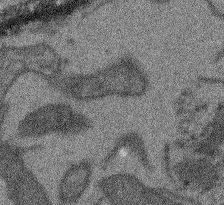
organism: Arabidopsis thaliana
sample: Root tip